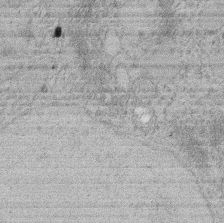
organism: Rat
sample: Salivary granule